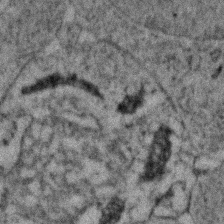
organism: Zebrafish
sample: Zebrafish embryo